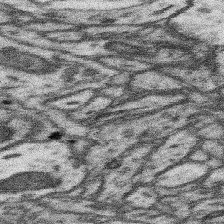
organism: Mouse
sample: Somatosensory cortex neuropil